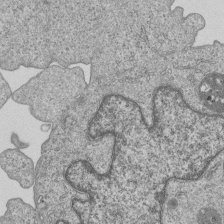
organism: Human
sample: MDA-MB-231 cells